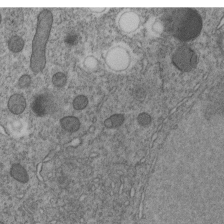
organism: C. elegans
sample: C. elegans embryo early stage